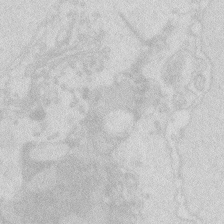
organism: Zebrafish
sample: Macrophage